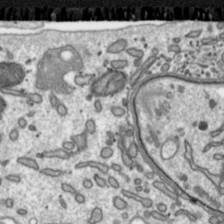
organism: Toxoplasma gondii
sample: Parasites in a vacuole inside a host cell